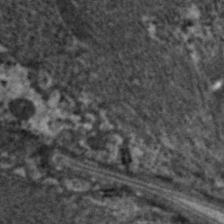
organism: C. elegans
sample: Pharynx